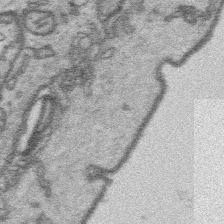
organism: Platynereis dumerilii